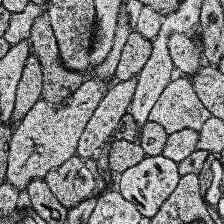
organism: Human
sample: Temporal Lobe